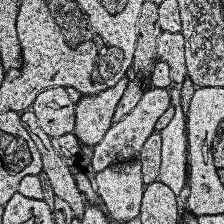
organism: Human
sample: Temporal Lobe